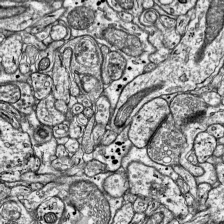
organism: Mouse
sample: Visual Cortex